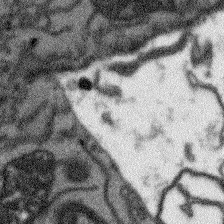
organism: Arabidopsis thaliana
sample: Root tip